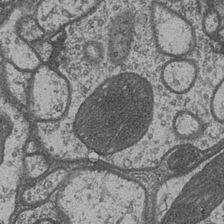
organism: Drosophila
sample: Optic medulla